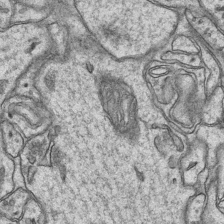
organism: Mouse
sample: CA1 Hippocampus